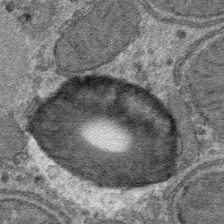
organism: Mouse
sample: Mouse hepatocytes